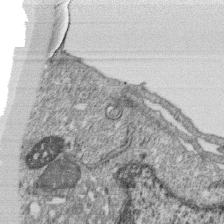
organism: African green monkey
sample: Vero E6 cells infected with SARS-CoV-2